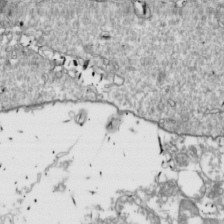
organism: Drosophila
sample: Cell division; meiosis; drosophila spermatocytes